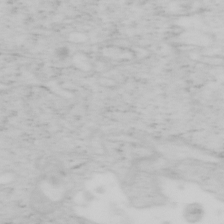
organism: Mouse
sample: OT-I killer T cells with ID8 ovarian cancer cells